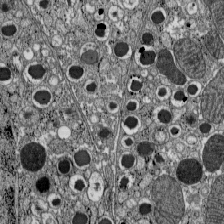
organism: C57BL Mouse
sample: Pancreatic islet